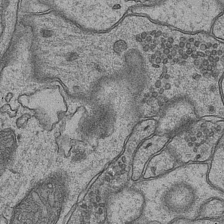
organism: Mouse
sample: CA1 Hippocampus